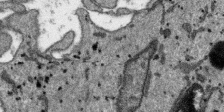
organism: Human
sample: Lung epithelial cells, uninfected (mock) control